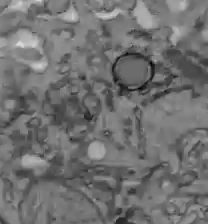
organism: C57BL Mouse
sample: Liver